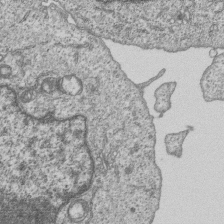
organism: Human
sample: MDA-MB-231 cells